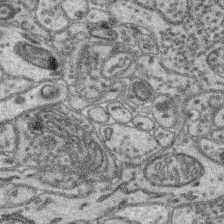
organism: Mouse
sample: Retina